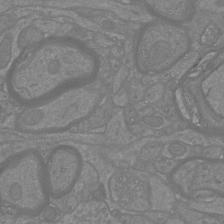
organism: Mouse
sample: Cortical neurons